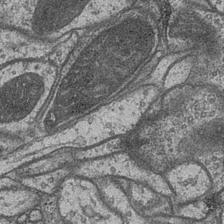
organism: Drosophila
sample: Optic medulla